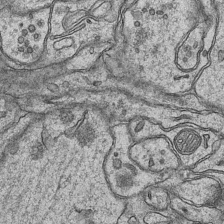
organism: Mouse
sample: CA1 Hippocampus